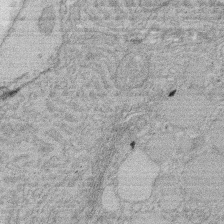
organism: Rat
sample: Salivary granule